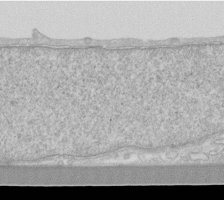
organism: Human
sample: Fibroblast cells